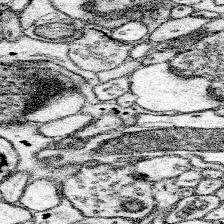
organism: Mouse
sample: Somatosensory cortex neuropil